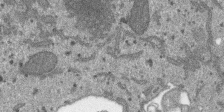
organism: Human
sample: Lung epithelial cells infected with SARS-CoV-2